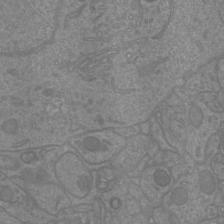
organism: Mouse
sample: Cortical neurons